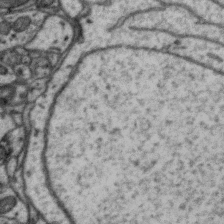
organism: Zebra finch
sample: Brain